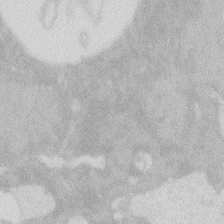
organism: Zebrafish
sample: Macrophage